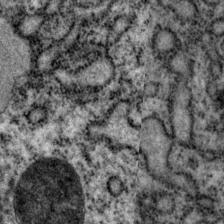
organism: P. pacificus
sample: Pharynx